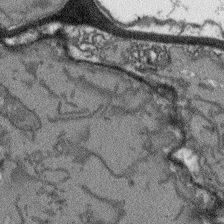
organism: Arabidopsis thaliana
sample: Root tip